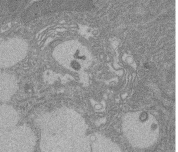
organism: Rat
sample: Salivary granule